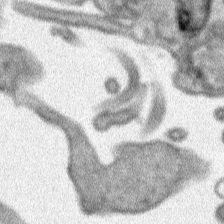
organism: Human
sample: Mitochondria in HCT116 cells